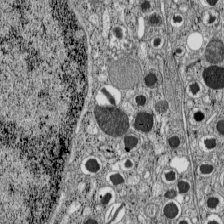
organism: C57BL Mouse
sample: Pancreatic islet